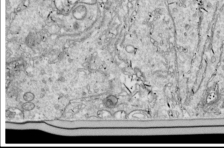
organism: Drosophila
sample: Cell division; meiosis; drosophila spermatocytes